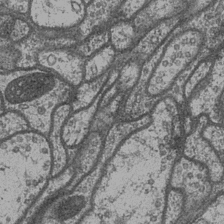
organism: Drosophila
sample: Optic medulla